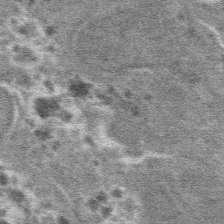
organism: Mouse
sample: Mouse hepatocytes